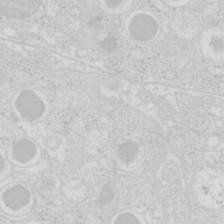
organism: Mouse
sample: Pancreas